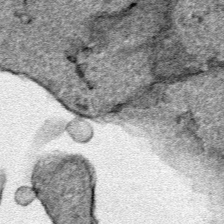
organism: Human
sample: Mitochondria in HCT116 cells